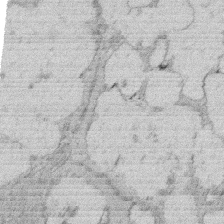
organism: Rat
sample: Salivary granule